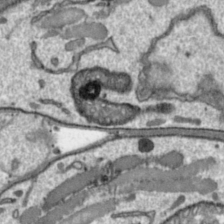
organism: Toxoplasma gondii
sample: Parasites in a vacuole inside a host cell